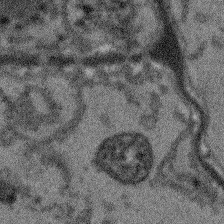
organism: Arabidopsis thaliana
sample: Root tip